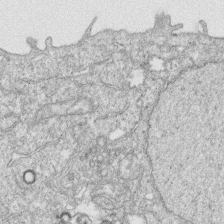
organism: Human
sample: HeLa cell HIV synapse